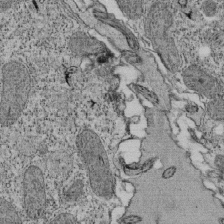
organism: Tetrahymena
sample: Cilia in tetrahymena